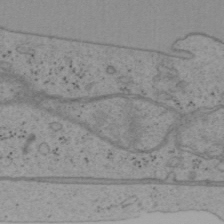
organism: Human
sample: HeLa cells